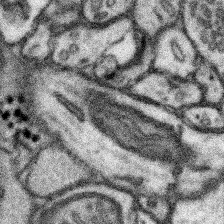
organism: Mouse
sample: Somatosensory cortex neuropil